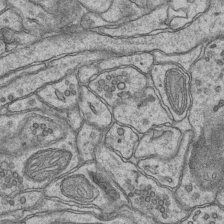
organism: Mouse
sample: CA1 Hippocampus